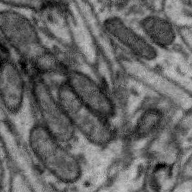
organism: Zebra finch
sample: Brain